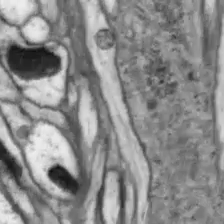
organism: Drosophila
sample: Optic lobe